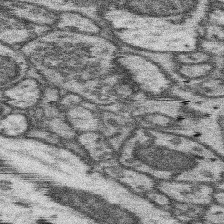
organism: Mouse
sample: Somatosensory cortex neuropil